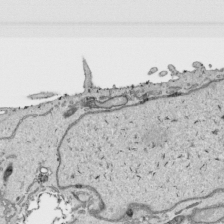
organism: Human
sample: Mitochondria in HCT116 cells